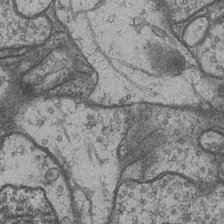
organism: Drosophila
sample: Optic medulla